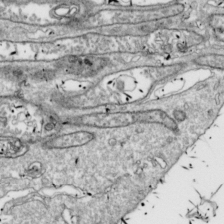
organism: Drosophila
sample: Cell division; meiosis; drosophila spermatocytes